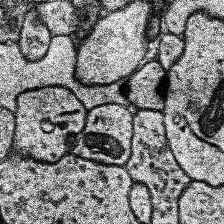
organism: Human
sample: Temporal Lobe